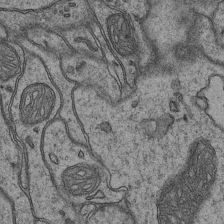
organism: Mouse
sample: CA1 Hippocampus